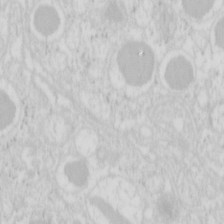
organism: Mouse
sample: Pancreas